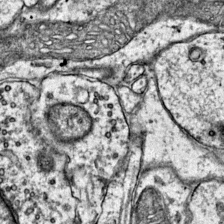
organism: Mouse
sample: Primary visual cortex